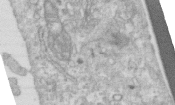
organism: Human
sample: Centriole in RPE cells